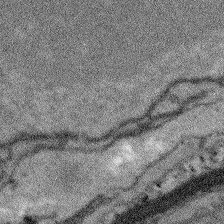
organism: Arabidopsis thaliana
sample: Root tip